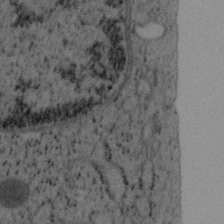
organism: Human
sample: HeLa cells